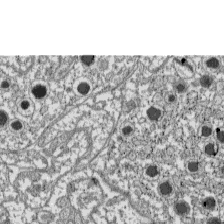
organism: C57BL Mouse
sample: Pancreatic islet